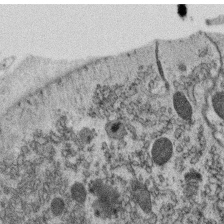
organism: C. elegans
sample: C. elegans oocyte; sperm cells